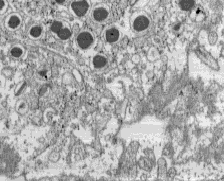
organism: C57BL Mouse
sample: Pancreatic islet